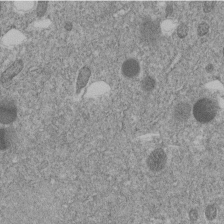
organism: C. elegans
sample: C. elegans embryo early stage